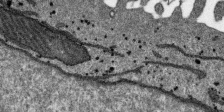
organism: Human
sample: Lung epithelial cells, uninfected (mock) control